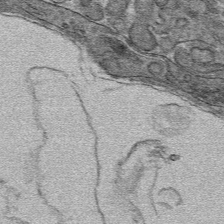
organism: Mouse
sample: Mouse hepatocytes